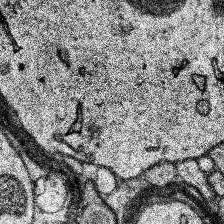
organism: Human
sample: Temporal Lobe